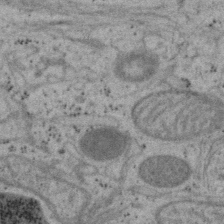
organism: Human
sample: HeLa cells